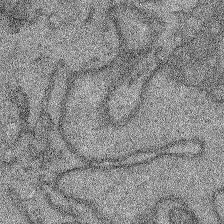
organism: Human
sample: HeLa cells